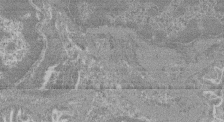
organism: Mouse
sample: Glomerulus